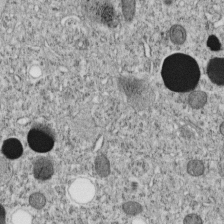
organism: C. elegans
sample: C. elegans embryo early stage